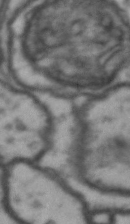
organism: Drosophila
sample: Brain